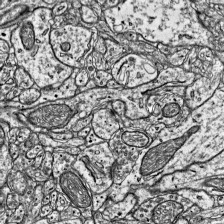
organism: Mouse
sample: Visual Cortex